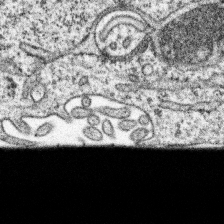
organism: Human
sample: HeLa cells